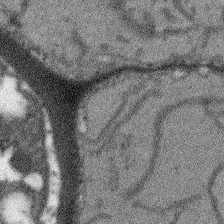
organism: Arabidopsis thaliana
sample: Root tip